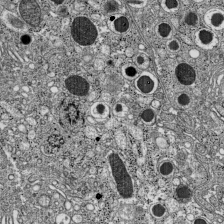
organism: C57BL Mouse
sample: Pancreatic islet